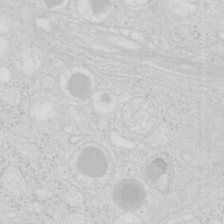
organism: Mouse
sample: Pancreas